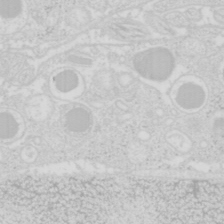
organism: Mouse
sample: Pancreas